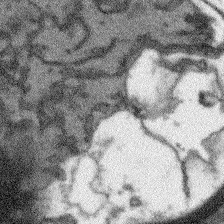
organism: Arabidopsis thaliana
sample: Root tip